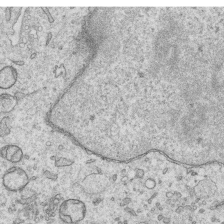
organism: Human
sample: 1205lu cells